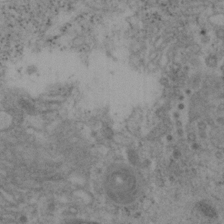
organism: Mouse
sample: OT-I killer T cells with ID8 ovarian cancer cells